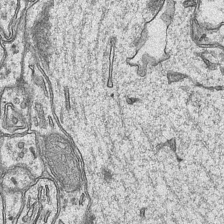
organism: Mouse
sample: CA1 Hippocampus